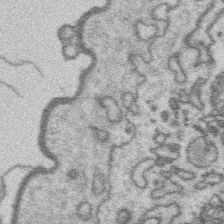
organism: Platynereis dumerilii